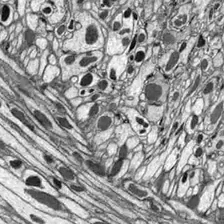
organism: Drosophila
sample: Optic lobe